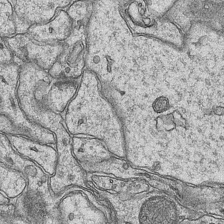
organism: Mouse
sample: CA1 Hippocampus